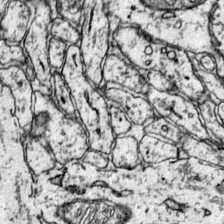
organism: Mouse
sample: Primary visual cortex